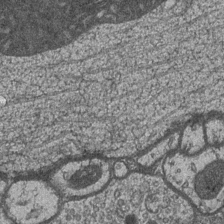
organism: Drosophila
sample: Optic medulla